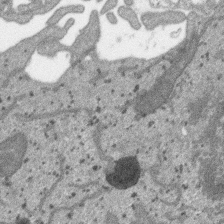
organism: Human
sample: Lung epithelial cells infected with SARS-CoV-2